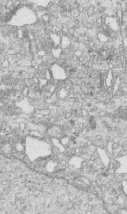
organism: Human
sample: HeLa cell HIV synapse